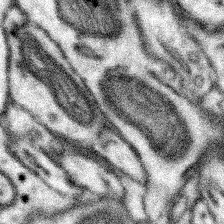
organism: Mouse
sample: Somatosensory cortex neuropil